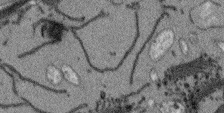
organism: Arabidopsis thaliana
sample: Root tip